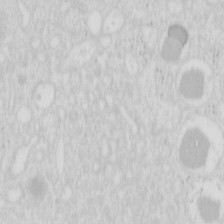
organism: Mouse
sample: Pancreas